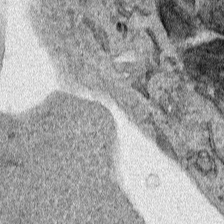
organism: Human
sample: Mitochondria in HCT116 cells